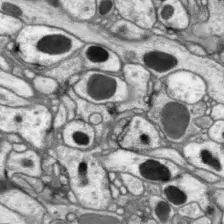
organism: Drosophila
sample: Optic lobe